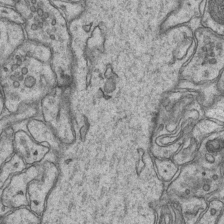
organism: Mouse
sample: CA1 Hippocampus